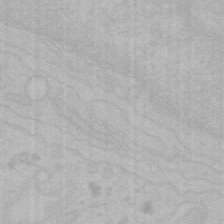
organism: Mouse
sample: Choroid plexus